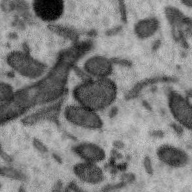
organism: Zebra finch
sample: Brain